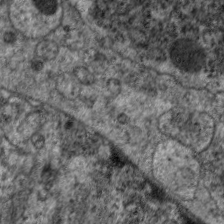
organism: C. elegans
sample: Pharynx